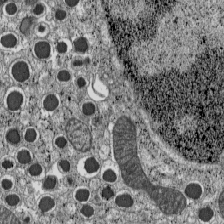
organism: C57BL Mouse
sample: Pancreatic islet